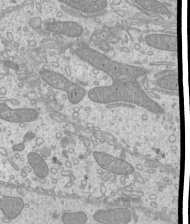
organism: Mouse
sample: Cilia; mouse epididymis